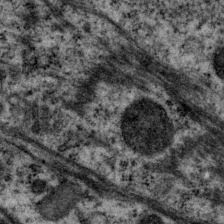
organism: P. pacificus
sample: Pharynx